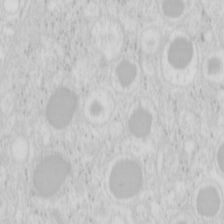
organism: Mouse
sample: Pancreas